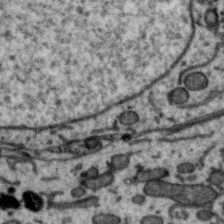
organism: Zebra finch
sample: Brain